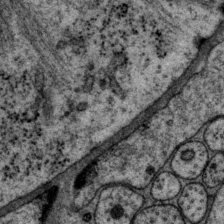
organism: P. pacificus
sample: Pharynx